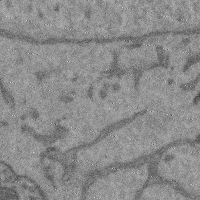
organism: Mouse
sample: Cerebral cortex